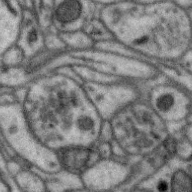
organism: Zebra finch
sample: Brain